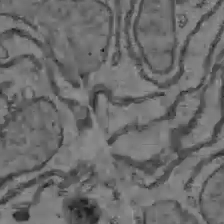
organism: C57BL Mouse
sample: Liver